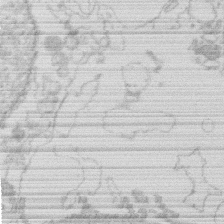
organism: Human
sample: Macrophage cells